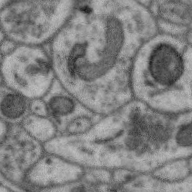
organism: Zebra finch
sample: Brain